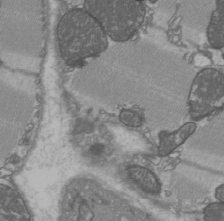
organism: C57BL Mouse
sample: Heart